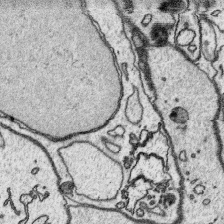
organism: Platynereis dumerilii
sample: Parapodia